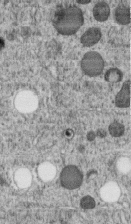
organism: C. elegans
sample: C. elegans embryo early stage